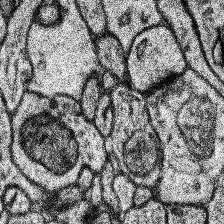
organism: Human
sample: Temporal Lobe